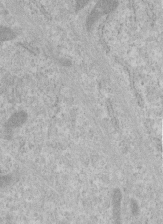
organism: Human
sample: Centriole in RPE cells